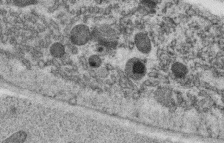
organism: C. elegans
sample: C. elegans oocyte; sperm cells